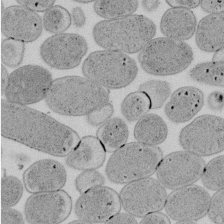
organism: E. coli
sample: Bacterial nucleoid